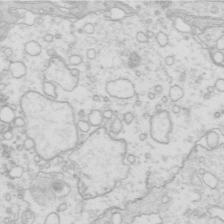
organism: Mouse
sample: Multiciliated cells